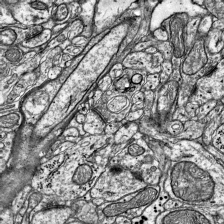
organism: Mouse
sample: Visual Cortex